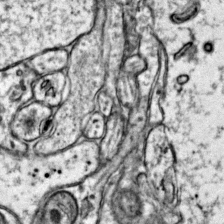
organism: Mouse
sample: Primary visual cortex